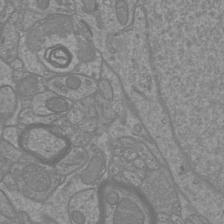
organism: Mouse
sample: Cortical neurons